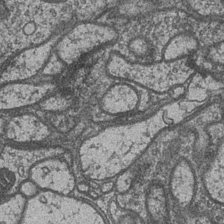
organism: Drosophila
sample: Optic medulla